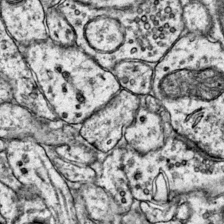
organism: Mouse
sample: Primary visual cortex